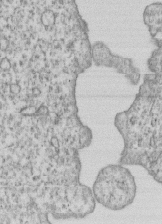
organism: Human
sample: MDA-MB-231 cells